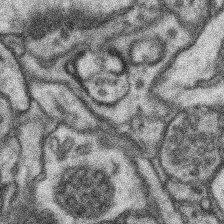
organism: Mouse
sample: Somatosensory cortex neuropil